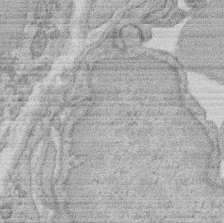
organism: Rat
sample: Salivary granule